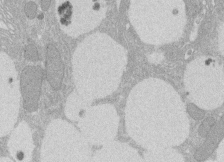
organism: Rat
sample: Salivary granule